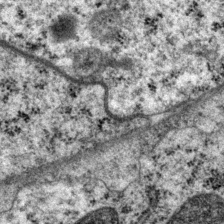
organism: P. pacificus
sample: Pharynx